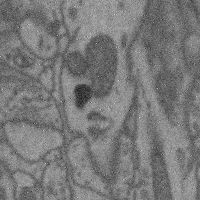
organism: Mouse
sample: Cerebral cortex